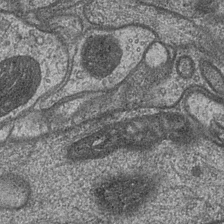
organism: Drosophila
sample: Optic medulla